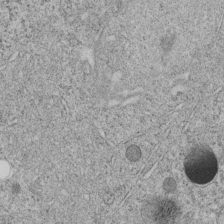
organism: C. elegans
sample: C. elegans embryo early stage